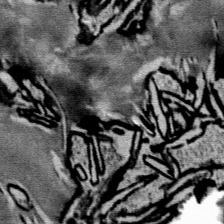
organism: Mouse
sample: Mouse Salivary gland